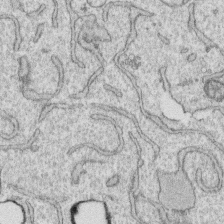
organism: Human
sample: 1205lu cells